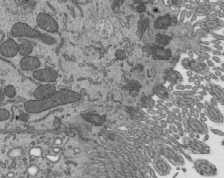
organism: Mouse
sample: Mouse epididymis efferent ductule cilia